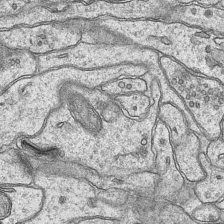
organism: Mouse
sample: CA1 Hippocampus